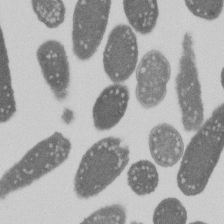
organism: E. coli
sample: Bacterial nucleoid